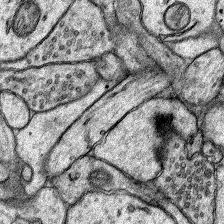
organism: Rat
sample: Hippocampus